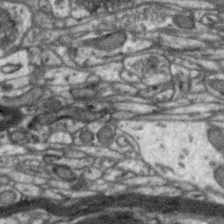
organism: Zebra finch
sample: Brain